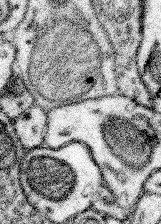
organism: Mouse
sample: Somatosensory cortex neuropil